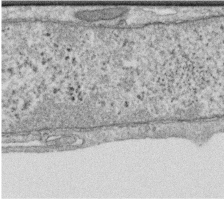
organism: Human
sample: Centriole in RPE cells